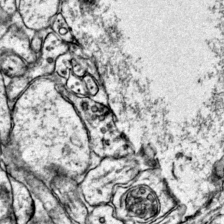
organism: Mouse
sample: Primary visual cortex